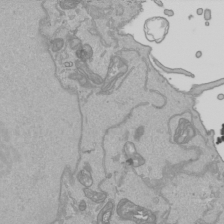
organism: Human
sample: Mitochondria in HCT116 cells